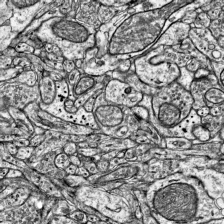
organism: Mouse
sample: Visual Cortex